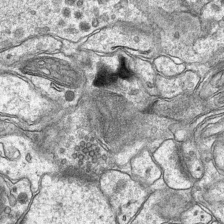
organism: Mouse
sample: CA1 Hippocampus